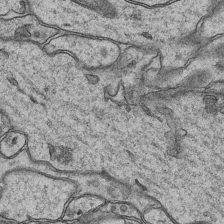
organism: Mouse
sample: CA1 Hippocampus